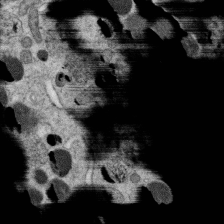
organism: C. elegans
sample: C. elegans oocyte; sperm cells